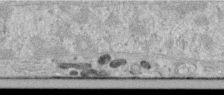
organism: Human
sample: Centriole in RPE cells